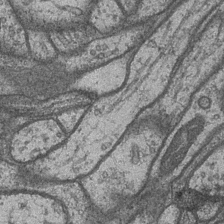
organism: Drosophila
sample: Optic medulla